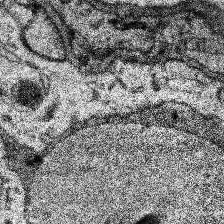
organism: Human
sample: Temporal Lobe